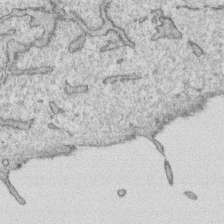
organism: Human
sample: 1205lu cells